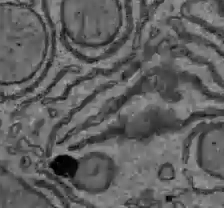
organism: C57BL Mouse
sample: Liver